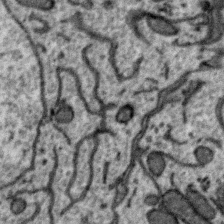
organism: Zebra finch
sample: Brain